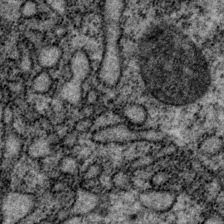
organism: P. pacificus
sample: Pharynx